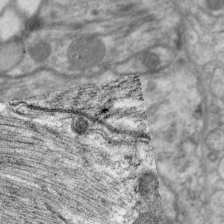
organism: C. elegans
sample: Pharynx